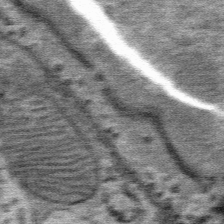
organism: Mouse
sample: Mouse Salivary gland